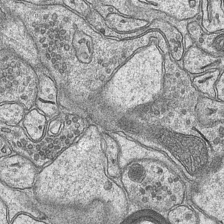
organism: Mouse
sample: CA1 Hippocampus